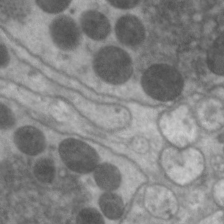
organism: C. elegans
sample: Pharynx